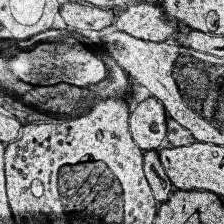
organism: Human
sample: Temporal Lobe